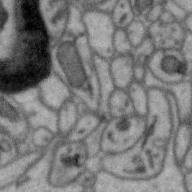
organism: Zebra finch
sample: Brain